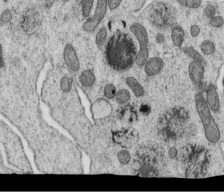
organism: C. elegans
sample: C. elegans oocyte; sperm cells